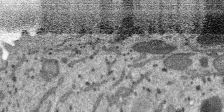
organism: Human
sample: Lung epithelial cells infected with SARS-CoV-2